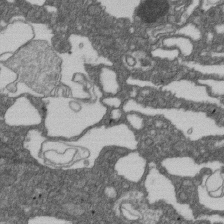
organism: Drosophila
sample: Nephrocyte